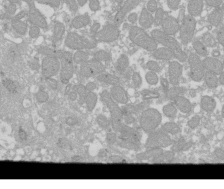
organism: Xenopus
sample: Cilia; centrioles in frog embryo cells